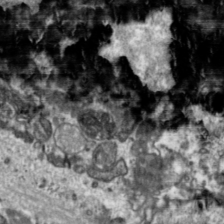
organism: Toxoplasma gondii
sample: Parasites in a vacuole inside a host cell